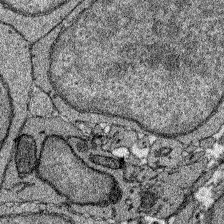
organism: Zebrafish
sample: Larval olfactory bulb